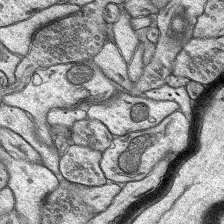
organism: Rat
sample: Hippocampus